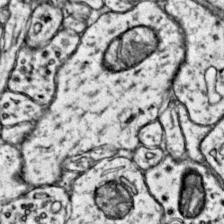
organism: Mouse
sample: Primary visual cortex